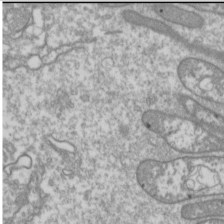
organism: Drosophila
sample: Cell division; meiosis; drosophila spermatocytes